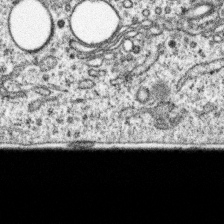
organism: Human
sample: HeLa cells